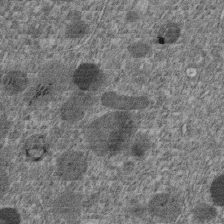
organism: C. elegans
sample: C. elegans embryo early stage